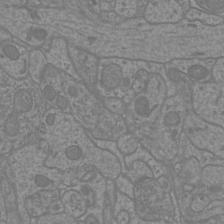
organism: Mouse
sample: Cortical neurons